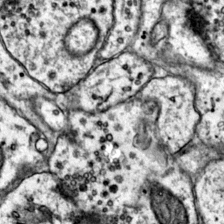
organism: Mouse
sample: Primary visual cortex